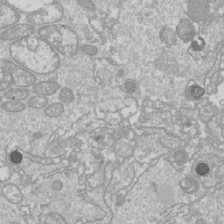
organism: Drosophila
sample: Cell division; meiosis; drosophila spermatocytes